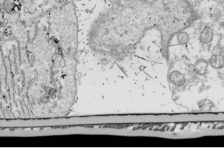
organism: Drosophila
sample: Cell division; meiosis; drosophila spermatocytes